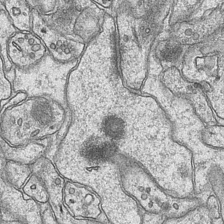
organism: Mouse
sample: CA1 Hippocampus